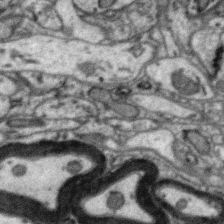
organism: Zebra finch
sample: Brain